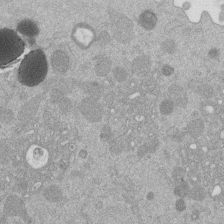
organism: Mouse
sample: Dividing mouse embryo 1 cell stage